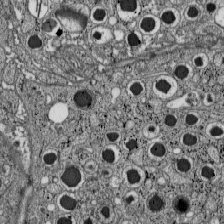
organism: C57BL Mouse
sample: Pancreatic islet